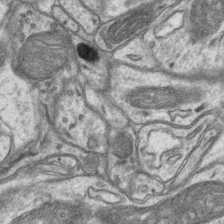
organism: Mouse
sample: CA1 Hippocampus